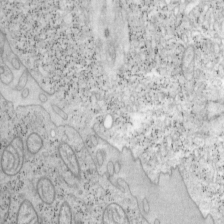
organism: Mouse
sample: OT-I killer T cells with ID8 ovarian cancer cells